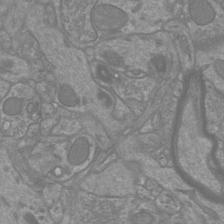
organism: Mouse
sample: Cortical neurons